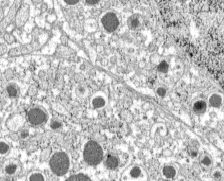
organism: C57BL Mouse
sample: Pancreatic islet